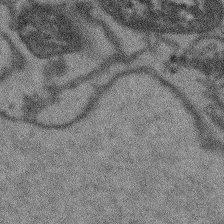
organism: Arabidopsis thaliana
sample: Root tip